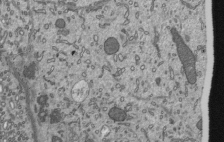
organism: Mouse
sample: Mouse epididymis efferent ductule cilia